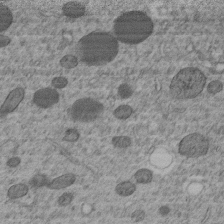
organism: C. elegans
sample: C. elegans embryo early stage